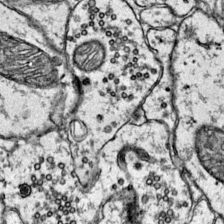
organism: Mouse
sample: Primary visual cortex